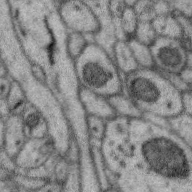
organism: Zebra finch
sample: Brain